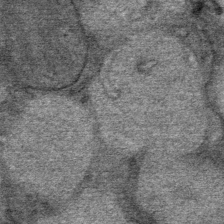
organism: Mouse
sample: Mouse Salivary gland